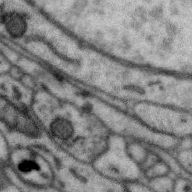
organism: Zebra finch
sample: Brain